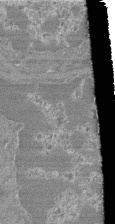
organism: Mouse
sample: Glomerulus